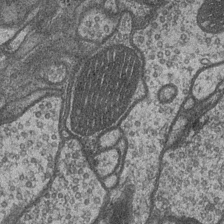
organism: Drosophila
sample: Optic medulla